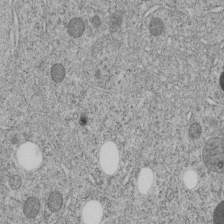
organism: C. elegans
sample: C. elegans embryo early stage